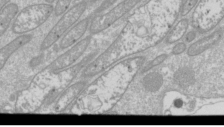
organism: Drosophila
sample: Cell division; meiosis; drosophila spermatocytes